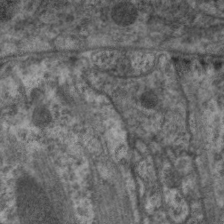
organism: C. elegans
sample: Pharynx